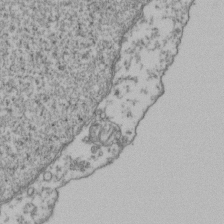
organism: Human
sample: Activated Jurkat CD4+ T cells